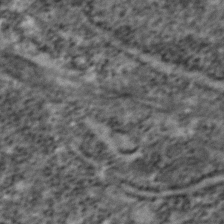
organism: Zebrafish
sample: Zebrafish embryo